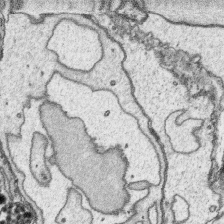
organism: Platynereis dumerilii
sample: Parapodia